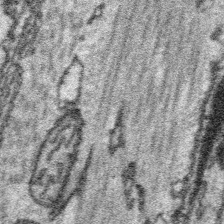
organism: Platynereis dumerilii